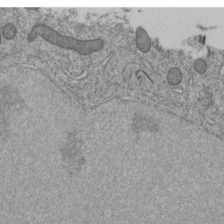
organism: C. elegans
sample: C. elegans embryo early stage